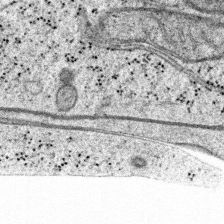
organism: Human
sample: HeLa cells